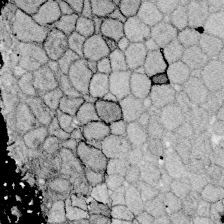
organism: Zebrafish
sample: Whole-Brain